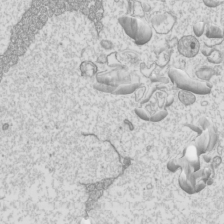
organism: Mouse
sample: Cilia; mouse epididymis